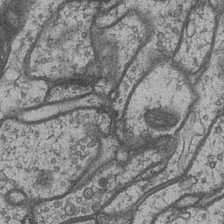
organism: Drosophila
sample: Optic medulla